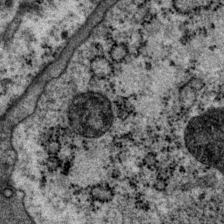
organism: P. pacificus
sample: Pharynx